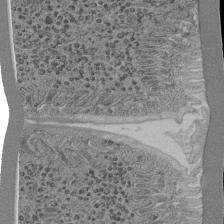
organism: C. elegans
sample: C. elegans pharynx